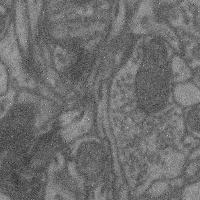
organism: Mouse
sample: Cerebral cortex